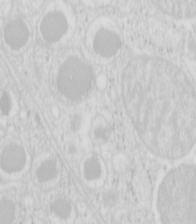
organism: Mouse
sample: Pancreas